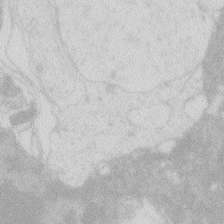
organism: Zebrafish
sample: Macrophage